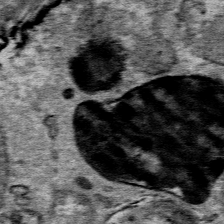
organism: Mouse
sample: Mouse Salivary gland